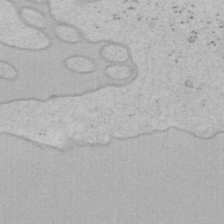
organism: Human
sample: HeLa cells